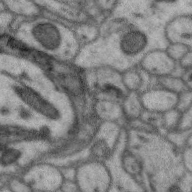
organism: Zebra finch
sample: Brain